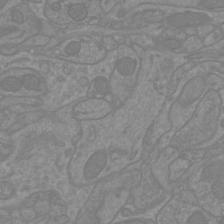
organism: Mouse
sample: Cortical neurons